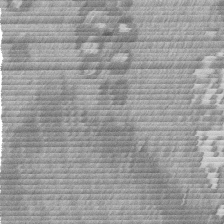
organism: Mouse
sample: Dividing mouse embryo 1 cell stage